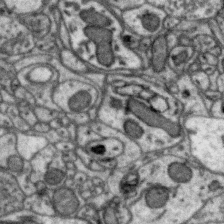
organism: Zebra finch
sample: Brain